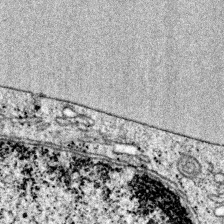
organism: Human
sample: HeLa cells